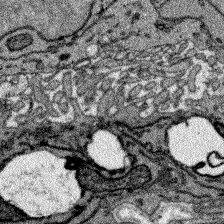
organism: Zebrafish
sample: Larval olfactory bulb